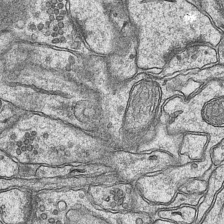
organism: Mouse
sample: CA1 Hippocampus